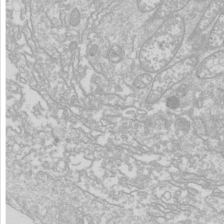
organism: Drosophila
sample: Cell division; meiosis; drosophila spermatocytes